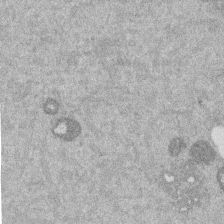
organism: Mouse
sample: Dividing mouse embryo 1 cell stage